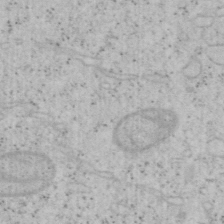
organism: Human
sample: HeLa cells